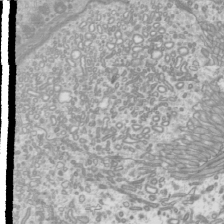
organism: Mouse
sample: Cilia; mouse epididymis